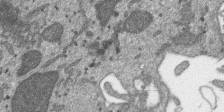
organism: Human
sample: Lung epithelial cells infected with SARS-CoV-2